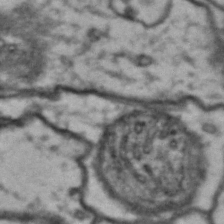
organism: Drosophila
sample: Brain